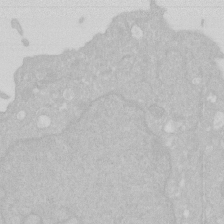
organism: Human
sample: HIV infected U937 cells